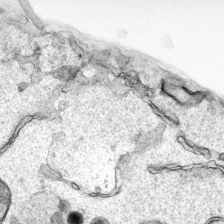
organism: Human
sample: Mitochondria in HCT116 cells